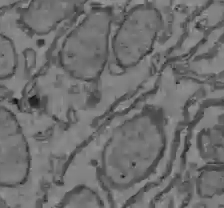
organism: C57BL Mouse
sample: Liver